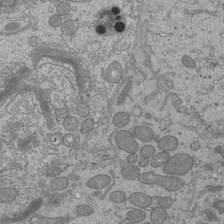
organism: Mouse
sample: Cilia; mouse epididymis